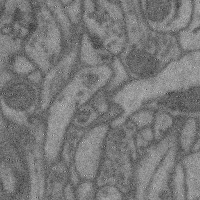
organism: Mouse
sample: Cerebral cortex